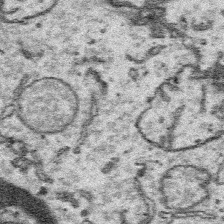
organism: Platynereis dumerilii